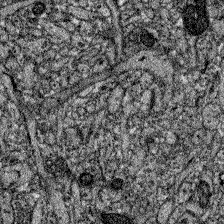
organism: Zebrafish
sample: Larval olfactory bulb